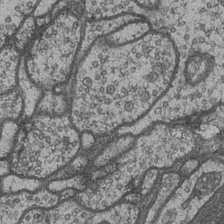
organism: Drosophila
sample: Optic medulla